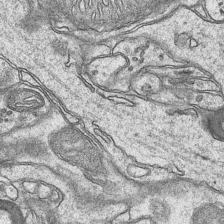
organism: Mouse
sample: CA1 Hippocampus